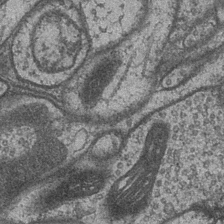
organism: Drosophila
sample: Optic medulla